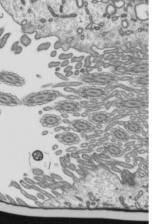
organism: Mouse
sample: Mouse epididymis efferent ductule cilia